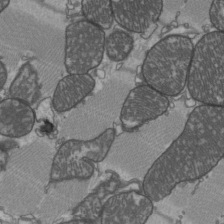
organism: C57BL Mouse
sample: Heart